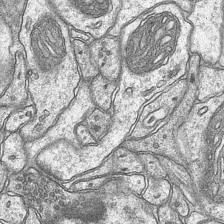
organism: Mouse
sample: CA1 Hippocampus